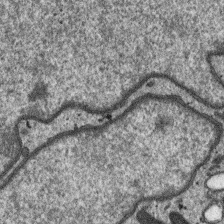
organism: Human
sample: Lung epithelial cells infected with SARS-CoV-2